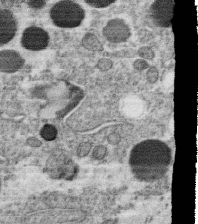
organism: C. elegans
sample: C. elegans oocyte; sperm cells